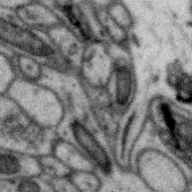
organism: Zebra finch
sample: Brain